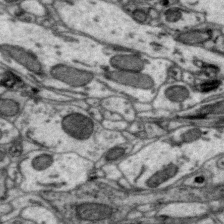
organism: Zebra finch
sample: Brain